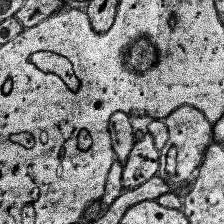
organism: Human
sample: Temporal Lobe